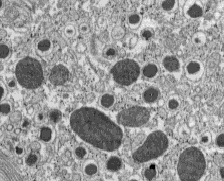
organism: C57BL Mouse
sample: Pancreatic islet